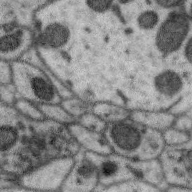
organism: Zebra finch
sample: Brain